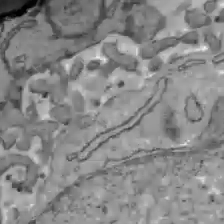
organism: C57BL Mouse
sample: Liver